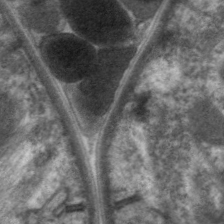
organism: C. elegans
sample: Pharynx